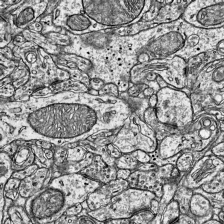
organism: Mouse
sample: Visual Cortex